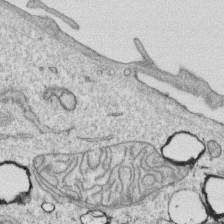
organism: Human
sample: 1205lu cells